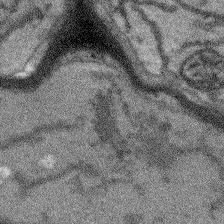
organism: Arabidopsis thaliana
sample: Root tip